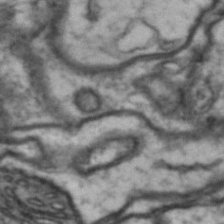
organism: Drosophila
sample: Brain